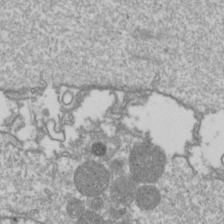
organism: Drosophila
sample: Cell division; meiosis; drosophila spermatocytes